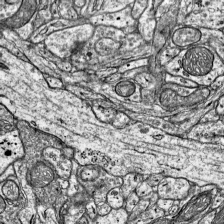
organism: Mouse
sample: Visual Cortex